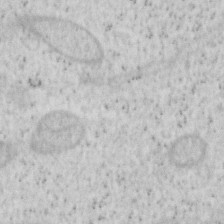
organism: Human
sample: HeLa cells